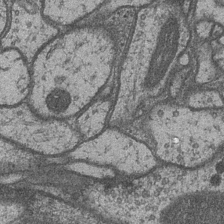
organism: Drosophila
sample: Optic medulla